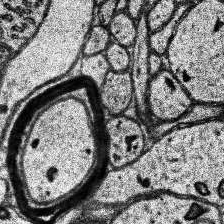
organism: Human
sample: Temporal Lobe